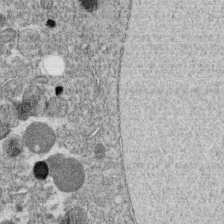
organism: C. elegans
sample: C. elegans oocyte; sperm cells